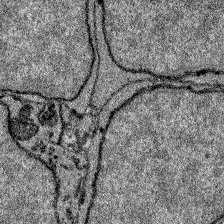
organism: Zebrafish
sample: Larval olfactory bulb